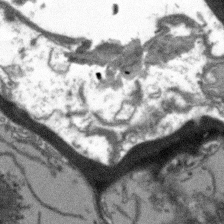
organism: Arabidopsis thaliana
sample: Root tip